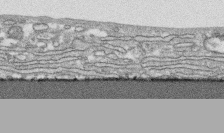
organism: Human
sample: CRL-1474